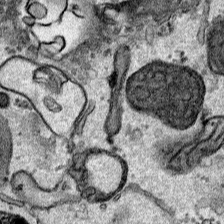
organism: Human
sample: Mitochondria in HCT116 cells